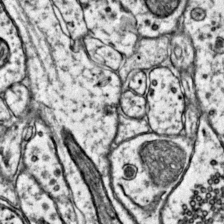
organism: Mouse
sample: Primary visual cortex